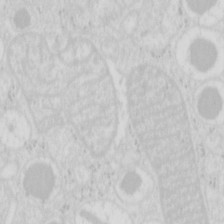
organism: Mouse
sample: Pancreas